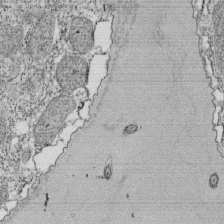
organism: Tetrahymena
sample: Cilia in tetrahymena